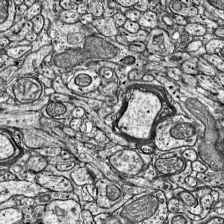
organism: Mouse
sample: Visual Cortex